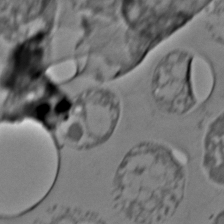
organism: C. elegans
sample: C. elegans embryo